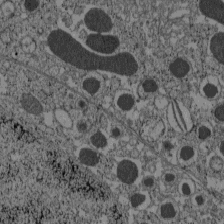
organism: C57BL Mouse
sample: Pancreatic islet